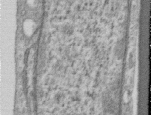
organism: Human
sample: Centriole in RPE cells